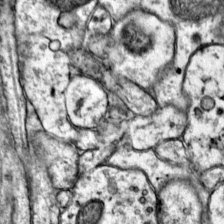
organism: Mouse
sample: Primary visual cortex